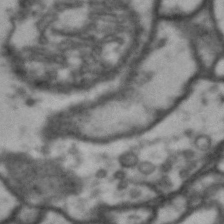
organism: Drosophila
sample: Brain